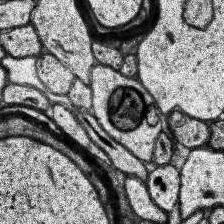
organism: Human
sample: Temporal Lobe